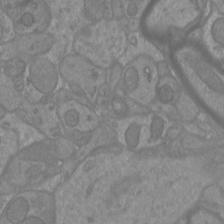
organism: Mouse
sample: Cortical neurons